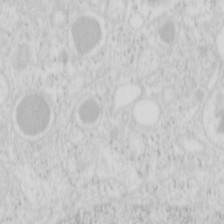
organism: Mouse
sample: Pancreas